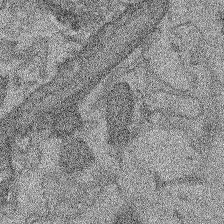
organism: Human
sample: HeLa cells